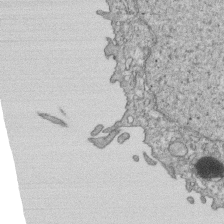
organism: Human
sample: HeLa cell HIV synapse